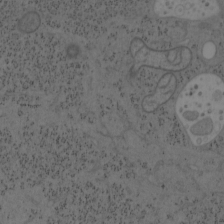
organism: Mouse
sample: OT-I killer T cells with ID8 ovarian cancer cells